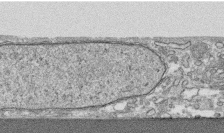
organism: Human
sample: CRL-1474